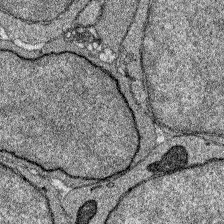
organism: Zebrafish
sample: Larval olfactory bulb